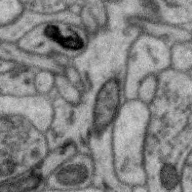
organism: Zebra finch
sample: Brain